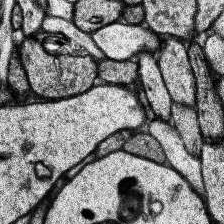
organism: Human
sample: Temporal Lobe